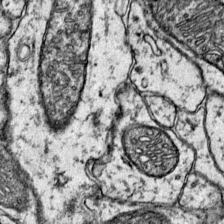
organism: Mouse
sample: Primary visual cortex